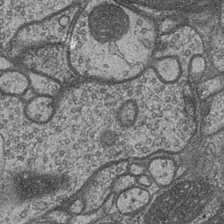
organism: Drosophila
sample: Optic medulla